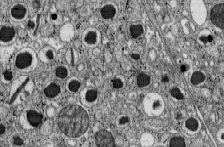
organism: C57BL Mouse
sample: Pancreatic islet